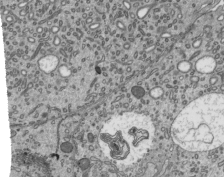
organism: Mouse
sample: Mouse epididymis efferent ductule cilia